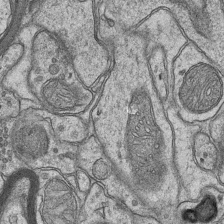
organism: Mouse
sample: CA1 Hippocampus